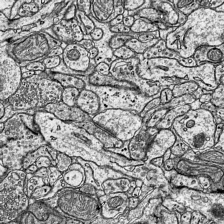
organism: Mouse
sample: Visual Cortex